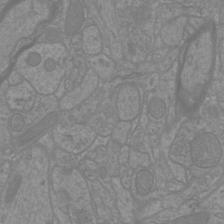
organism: Mouse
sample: Cortical neurons